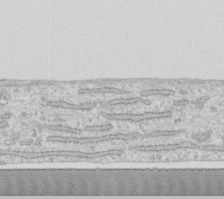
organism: Human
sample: Fibroblast cells